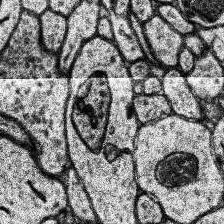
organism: Human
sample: Temporal Lobe